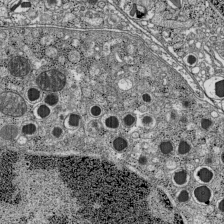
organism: C57BL Mouse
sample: Pancreatic islet